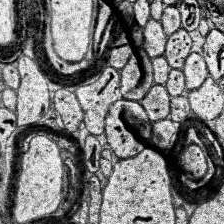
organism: Human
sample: Temporal Lobe